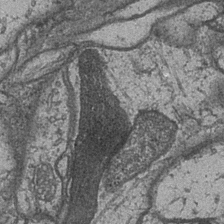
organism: Drosophila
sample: Optic medulla